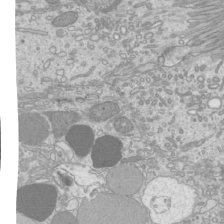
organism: Mouse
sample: Cilia; mouse epididymis